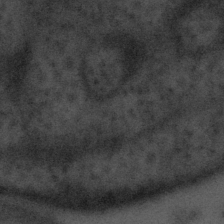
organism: Tuwongella immobilis